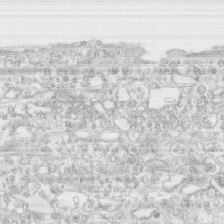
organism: Human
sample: CRL-1474